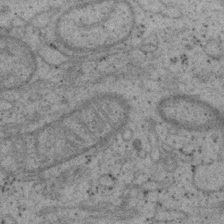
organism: Human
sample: HeLa cells